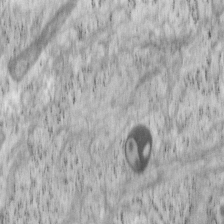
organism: Human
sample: HeLa cells